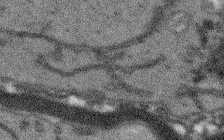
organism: Arabidopsis thaliana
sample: Root tip